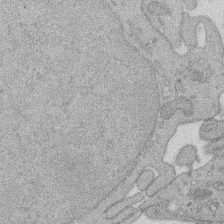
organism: Rat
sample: Salivary granule